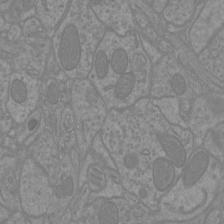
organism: Mouse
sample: Cortical neurons